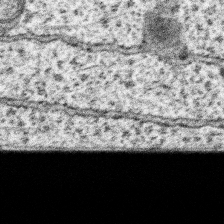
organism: Human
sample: HeLa cells